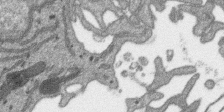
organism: Human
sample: Lung epithelial cells infected with SARS-CoV-2